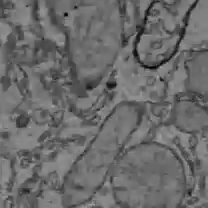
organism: C57BL Mouse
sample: Liver